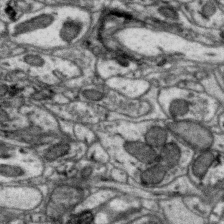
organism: Zebra finch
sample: Brain